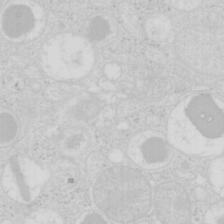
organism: Mouse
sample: Pancreas